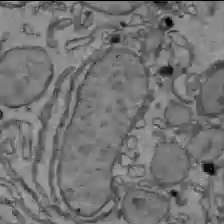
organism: C57BL Mouse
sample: Liver